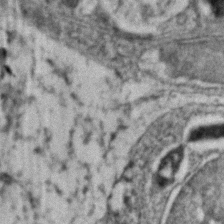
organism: Zebrafish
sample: Zebrafish embryo